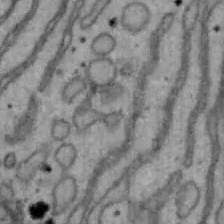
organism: Mouse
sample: Liver